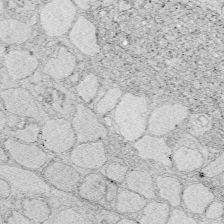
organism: Zebrafish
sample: Whole-Brain